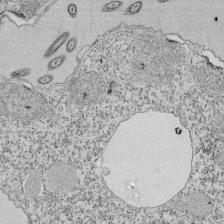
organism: Tetrahymena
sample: Cilia in tetrahymena